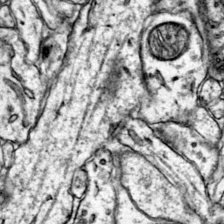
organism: Mouse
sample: Primary visual cortex